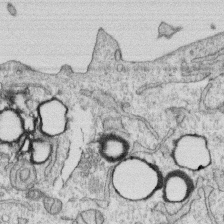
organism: Human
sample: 1205lu cells